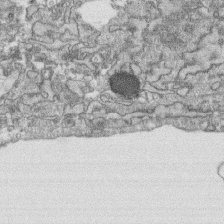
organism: Human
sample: CRL-1474